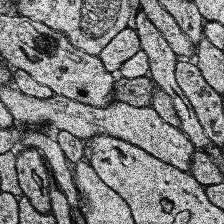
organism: Human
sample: Temporal Lobe